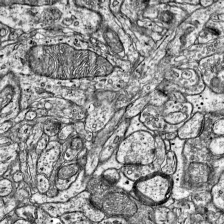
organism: Mouse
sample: Visual Cortex